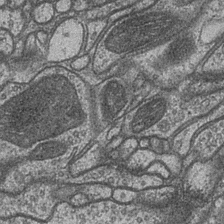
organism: Drosophila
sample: Optic medulla